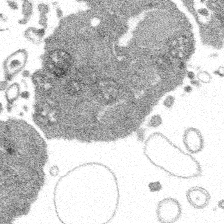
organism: Spongilla lacustris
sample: Multiple